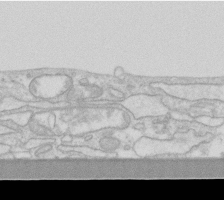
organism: Human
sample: Fibroblast cells